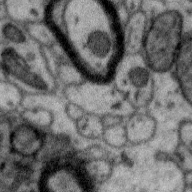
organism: Zebra finch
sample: Brain